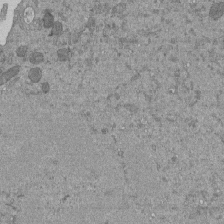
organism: Mouse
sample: ED-1 cell nuclei; centrioles